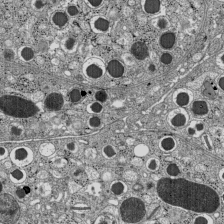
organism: C57BL Mouse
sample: Pancreatic islet